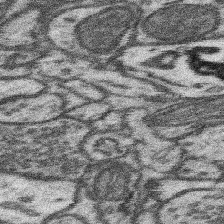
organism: Mouse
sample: Somatosensory cortex neuropil